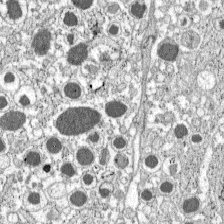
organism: C57BL Mouse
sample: Pancreatic islet